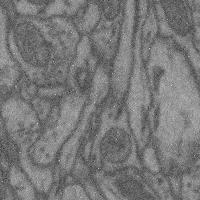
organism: Mouse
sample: Cerebral cortex